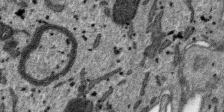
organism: Human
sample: Lung epithelial cells, uninfected (mock) control